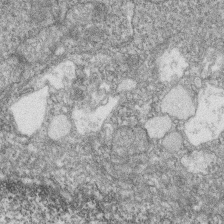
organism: Zebrafish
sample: Cilia; retinal pigment epithelium